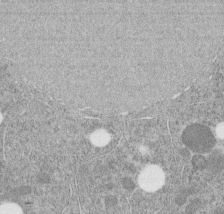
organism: C. elegans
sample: C. elegans embryo early stage